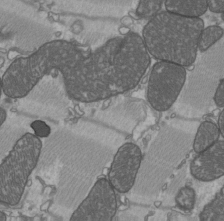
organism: C57BL Mouse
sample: Heart